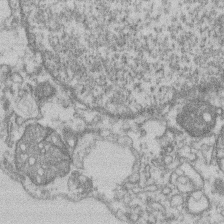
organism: Mouse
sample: T cell stromal cell synapse